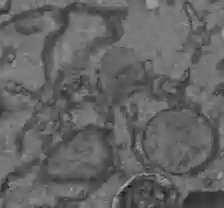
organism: C57BL Mouse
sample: Liver